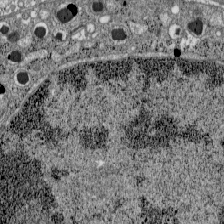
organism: C57BL Mouse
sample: Pancreatic islet